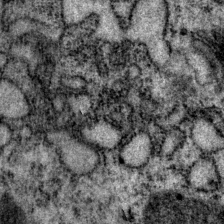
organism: P. pacificus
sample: Pharynx